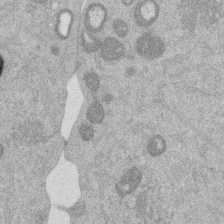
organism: Mouse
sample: Dividing mouse embryo 1 cell stage